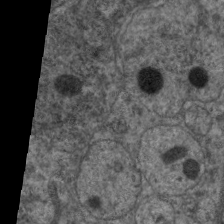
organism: C. elegans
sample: Pharynx